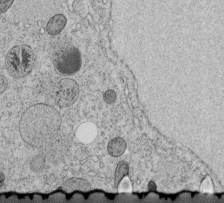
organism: C. elegans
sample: C. elegans embryo early stage